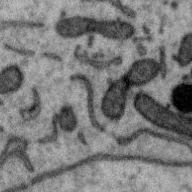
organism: Zebra finch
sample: Brain